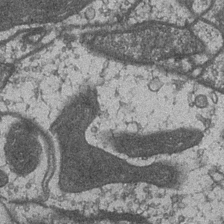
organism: Drosophila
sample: Optic medulla